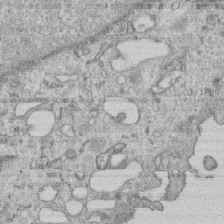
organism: Human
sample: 1205lu cells